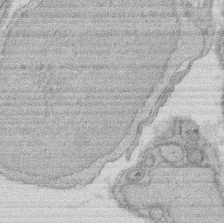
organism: Rat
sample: Salivary granule